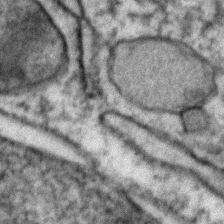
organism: Zebrafish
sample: Zebrafish embryo